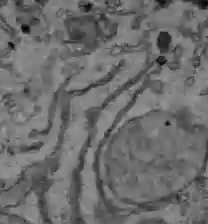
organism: C57BL Mouse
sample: Liver